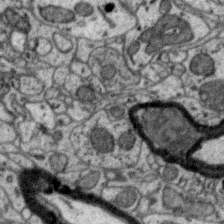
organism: Zebra finch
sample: Brain